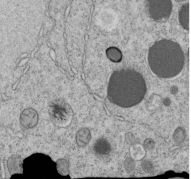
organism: C. elegans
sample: C. elegans embryo early stage